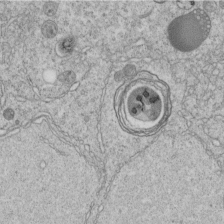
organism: C. elegans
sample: C. elegans embryo early stage